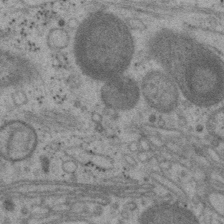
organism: Human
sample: HeLa cells